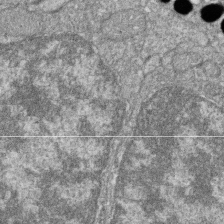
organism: Zebrafish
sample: Cilia; retinal pigment epithelium